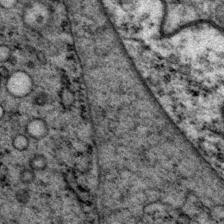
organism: P. pacificus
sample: Pharynx